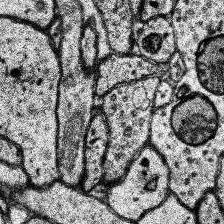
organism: Human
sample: Temporal Lobe